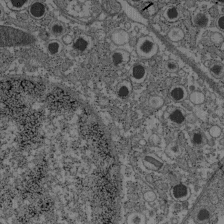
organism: C57BL Mouse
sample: Pancreatic islet